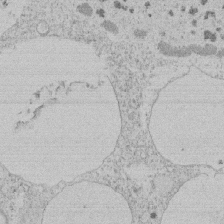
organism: Tetrahymena